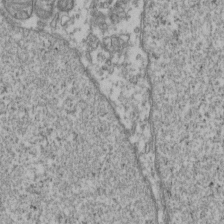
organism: Human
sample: Activated Jurkat CD4+ T cells